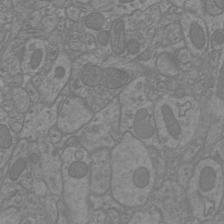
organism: Mouse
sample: Cortical neurons